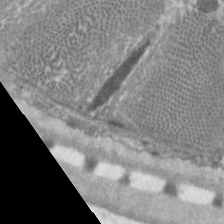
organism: C. elegans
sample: Pharynx